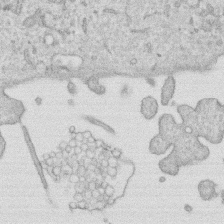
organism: Human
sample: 1205lu cells